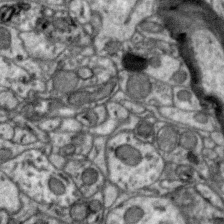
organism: Zebra finch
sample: Brain